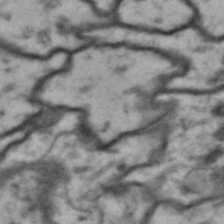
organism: Drosophila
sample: Brain